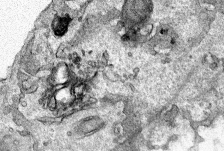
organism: Human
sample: Mitochondria in HCT116 cells